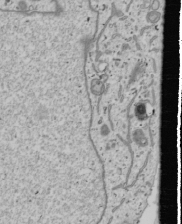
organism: Human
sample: Mitochondria in U2OS cells